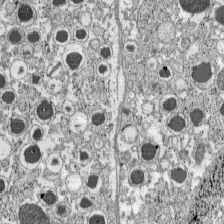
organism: C57BL Mouse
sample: Pancreatic islet